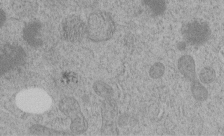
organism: C. elegans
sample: C. elegans embryo early stage